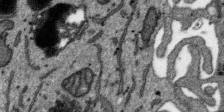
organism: Human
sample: Lung epithelial cells, uninfected (mock) control